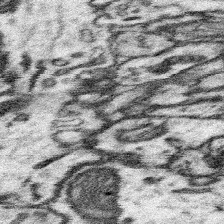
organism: Mouse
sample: Somatosensory cortex neuropil